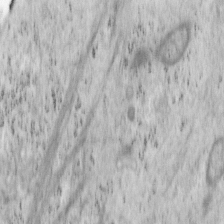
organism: Human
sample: HeLa cells